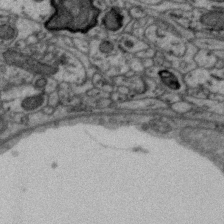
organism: Zebra finch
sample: Brain